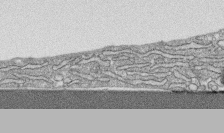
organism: Human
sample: CRL-1474